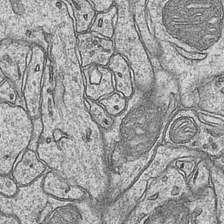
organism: Mouse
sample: CA1 Hippocampus